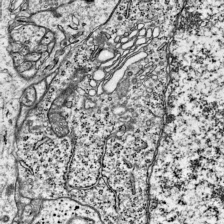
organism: Mouse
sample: Visual Cortex